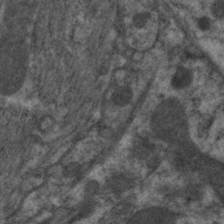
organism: C. elegans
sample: Pharynx